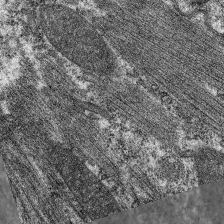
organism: C. elegans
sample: Pharynx